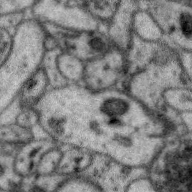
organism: Zebra finch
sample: Brain